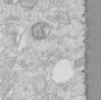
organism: Human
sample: Centriole in RPE cells